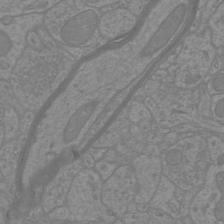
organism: Mouse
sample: Cortical neurons